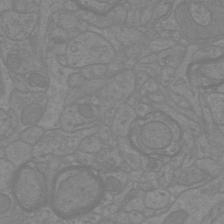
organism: Mouse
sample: Cortical neurons